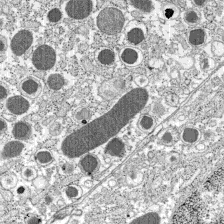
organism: C57BL Mouse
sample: Pancreatic islet